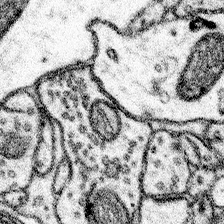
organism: Mouse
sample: Somatosensory cortex neuropil